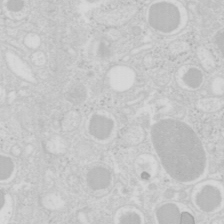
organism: Mouse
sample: Pancreas